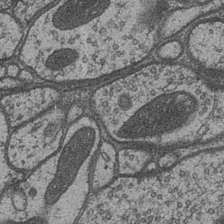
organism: Drosophila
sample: Optic medulla